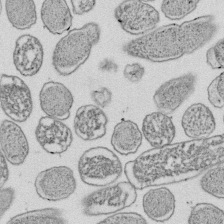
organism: E. coli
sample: Bacterial nucleoid